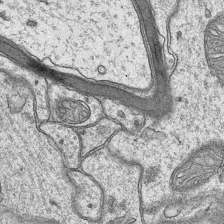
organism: Mouse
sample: CA1 Hippocampus